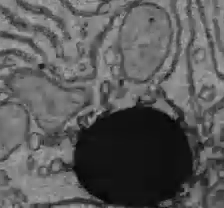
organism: C57BL Mouse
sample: Liver